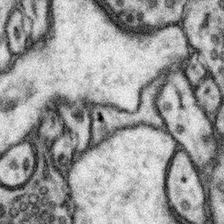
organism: Mouse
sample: Somatosensory cortex neuropil